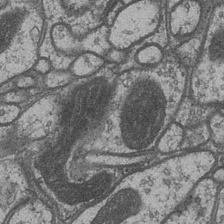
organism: Drosophila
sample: Optic medulla